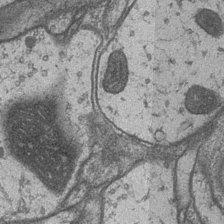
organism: Drosophila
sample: Optic medulla